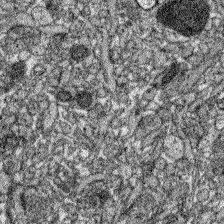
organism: Zebrafish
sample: Larval olfactory bulb